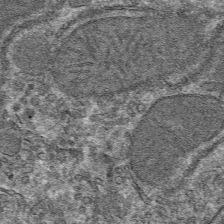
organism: Mouse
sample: Mouse hepatocytes